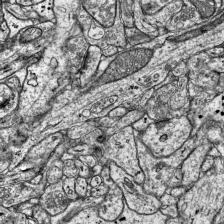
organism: Mouse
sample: Visual Cortex